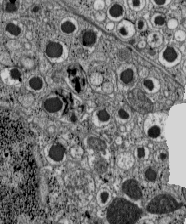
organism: C57BL Mouse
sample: Pancreatic islet